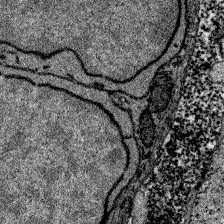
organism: Zebrafish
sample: Larval olfactory bulb